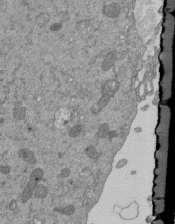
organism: Mouse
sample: ED-1 cell nuclei; centrioles